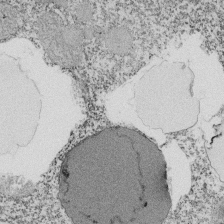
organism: Tetrahymena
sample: Cilia in tetrahymena